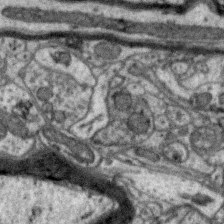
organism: Zebra finch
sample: Brain